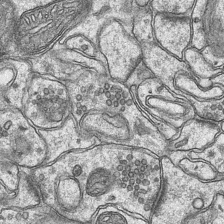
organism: Mouse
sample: CA1 Hippocampus